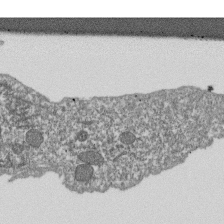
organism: Dictyostelium discoideum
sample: Dictyostelium multivesicular bodies